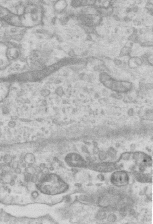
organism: Mouse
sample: Centriole in ependymal cells